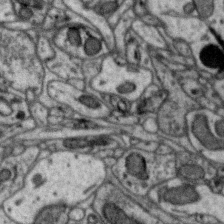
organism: Zebra finch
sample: Brain